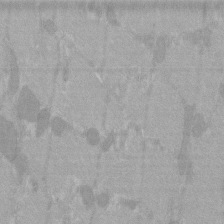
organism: C57BL Mouse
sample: Tibialis anterior muscle cell